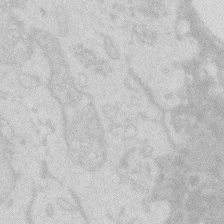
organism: Zebrafish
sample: Macrophage